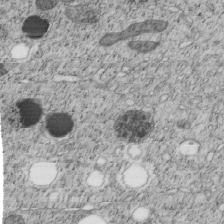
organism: C. elegans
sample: C. elegans embryo early stage